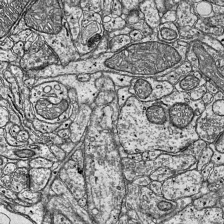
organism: Mouse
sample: Visual Cortex